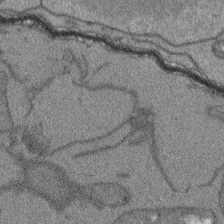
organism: Arabidopsis thaliana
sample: Root tip